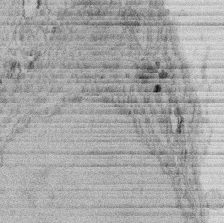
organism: Rat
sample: Salivary granule